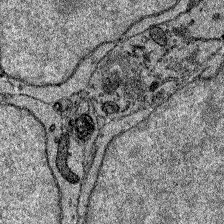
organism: Zebrafish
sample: Larval olfactory bulb